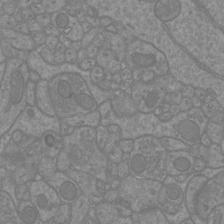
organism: Mouse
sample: Cortical neurons